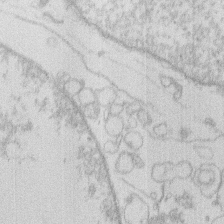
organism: Human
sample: Macrophage cells